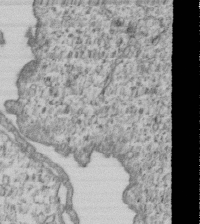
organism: Human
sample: MDA-MB-231 cells